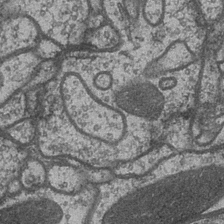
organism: Drosophila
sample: Optic medulla